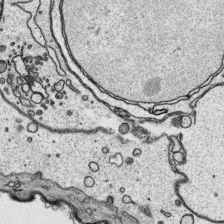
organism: Platynereis dumerilii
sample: Parapodia